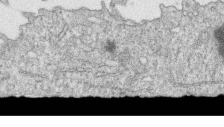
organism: Human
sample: HeLa cell HIV synapse